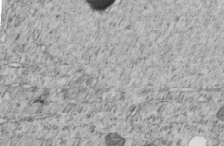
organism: C. elegans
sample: C. elegans embryo early stage